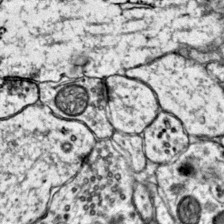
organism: Mouse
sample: Primary visual cortex